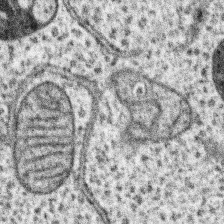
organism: Human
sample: HeLa cells